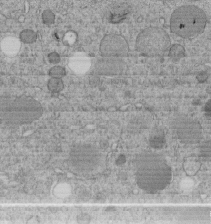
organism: C. elegans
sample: C. elegans embryo early stage